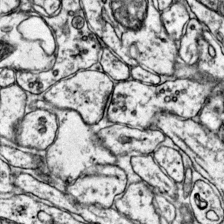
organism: Mouse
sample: Primary visual cortex